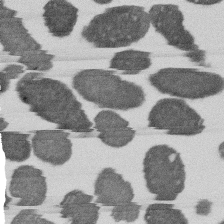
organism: E. coli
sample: Bacterial nucleoid